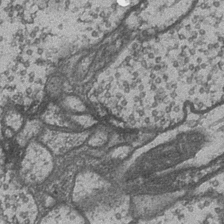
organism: Drosophila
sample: Optic medulla